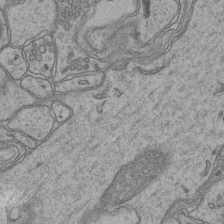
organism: Mouse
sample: CA1 Hippocampus